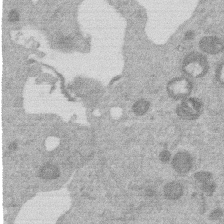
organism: Mouse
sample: Dividing mouse embryo 1 cell stage